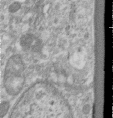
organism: Human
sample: Centriole in RPE cells